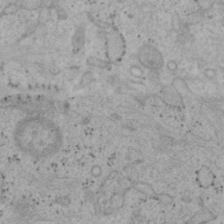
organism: Human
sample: HeLa cells